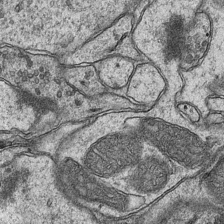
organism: Mouse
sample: CA1 Hippocampus